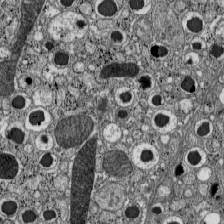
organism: C57BL Mouse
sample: Pancreatic islet